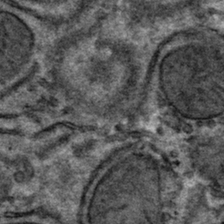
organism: Mouse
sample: Mouse hepatocytes